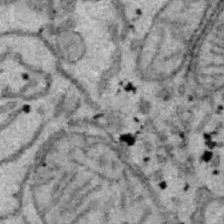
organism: Mouse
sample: Liver from an obese (ob/ob) mouse